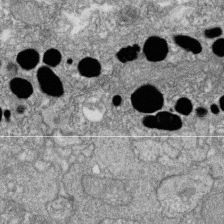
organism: Zebrafish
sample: Cilia; retinal pigment epithelium